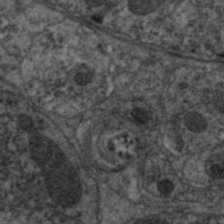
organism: C. elegans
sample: Pharynx